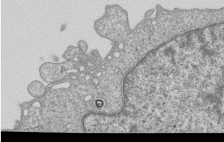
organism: Human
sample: MDA-MB-231 cells